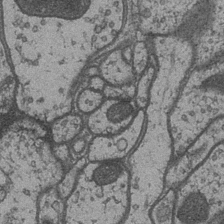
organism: Drosophila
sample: Optic medulla